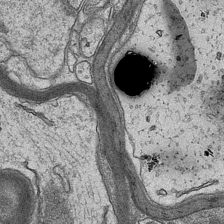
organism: Mouse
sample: CA1 Hippocampus